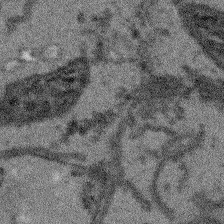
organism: Arabidopsis thaliana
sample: Root tip